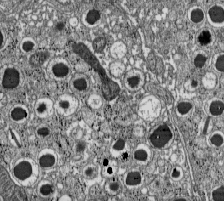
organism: C57BL Mouse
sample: Pancreatic islet